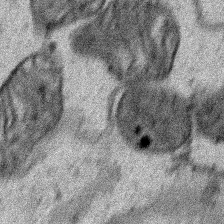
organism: Human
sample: Mitochondria in HCT116 cells